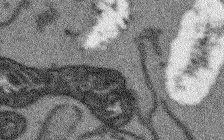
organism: Arabidopsis thaliana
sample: Root tip